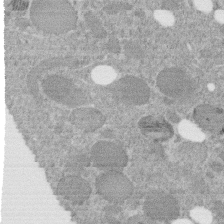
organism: C. elegans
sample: C. elegans embryo early stage